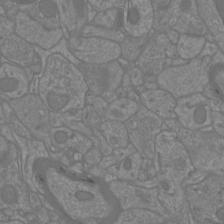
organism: Mouse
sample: Cortical neurons